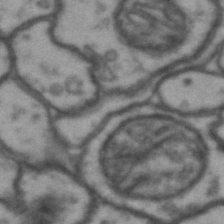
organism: Drosophila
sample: Brain